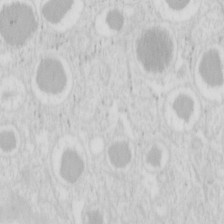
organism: Mouse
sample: Pancreas